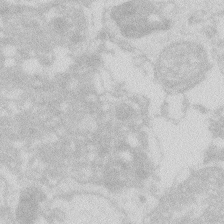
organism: Zebrafish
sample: Macrophage